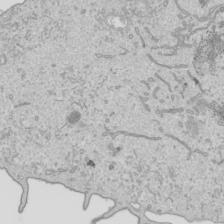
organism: Human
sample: Mitochondria in HCT116 cells